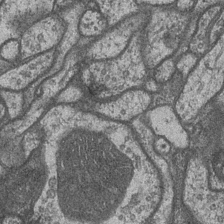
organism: Drosophila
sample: Optic medulla